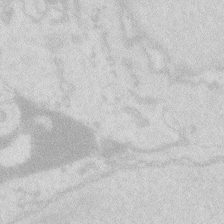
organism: Zebrafish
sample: Macrophage